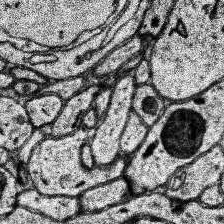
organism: Human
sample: Temporal Lobe